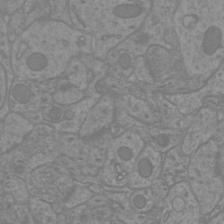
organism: Mouse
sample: Cortical neurons